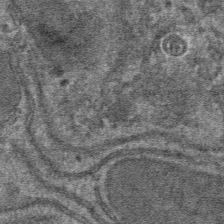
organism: Mouse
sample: Mouse hepatocytes